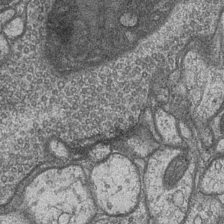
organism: Drosophila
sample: Optic medulla